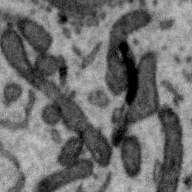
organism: Zebra finch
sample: Brain